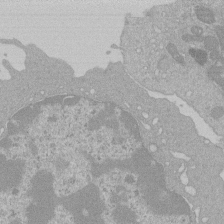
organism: Mouse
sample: Activated Pmel transgenic CD8+ T Cells